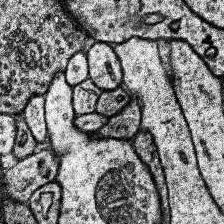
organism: Human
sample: Temporal Lobe